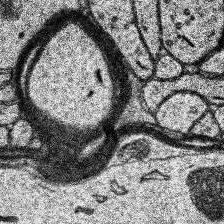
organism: Human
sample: Temporal Lobe